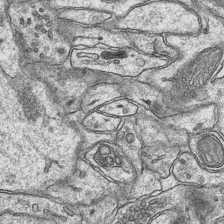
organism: Mouse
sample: CA1 Hippocampus